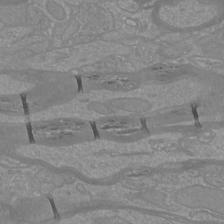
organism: Mouse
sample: Cortical neurons